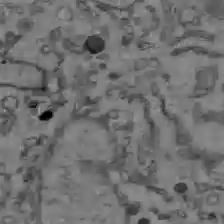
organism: C57BL Mouse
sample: Liver